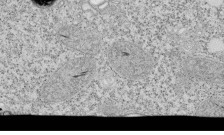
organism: Tetrahymena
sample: Cilia in tetrahymena